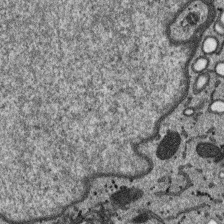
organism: Human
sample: Lung epithelial cells infected with SARS-CoV-2